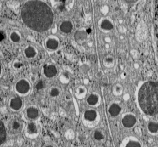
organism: C57BL Mouse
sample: Pancreatic islet